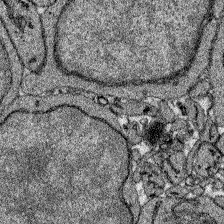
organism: Zebrafish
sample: Larval olfactory bulb